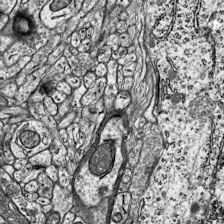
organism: Mouse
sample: Visual Cortex